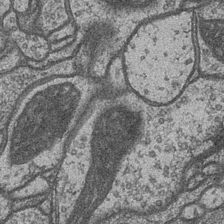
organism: Drosophila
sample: Optic medulla